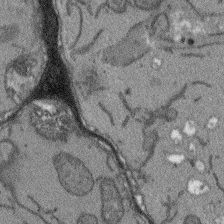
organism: Arabidopsis thaliana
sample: Root tip